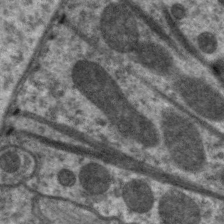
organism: C. elegans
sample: Pharynx